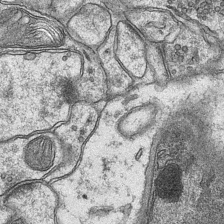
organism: Mouse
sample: CA1 Hippocampus